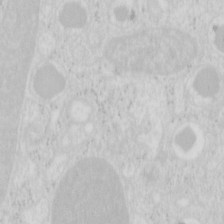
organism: Mouse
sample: Pancreas